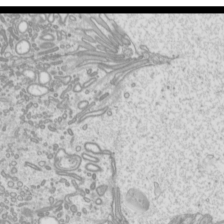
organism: Mouse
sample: Cilia; mouse epididymis